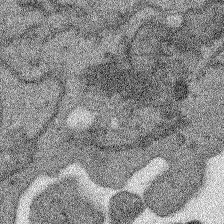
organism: Human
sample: HeLa cells